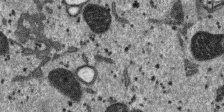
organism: Human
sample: Lung epithelial cells infected with SARS-CoV-2